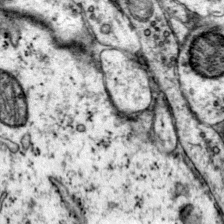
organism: Mouse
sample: Primary visual cortex